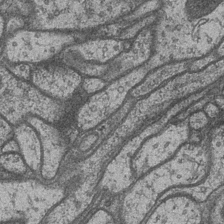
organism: Drosophila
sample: Optic medulla